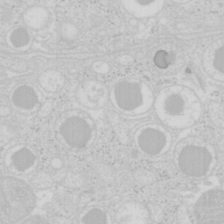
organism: Mouse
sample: Pancreas